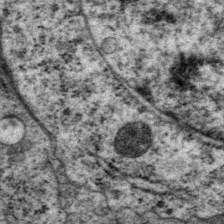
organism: P. pacificus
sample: Pharynx